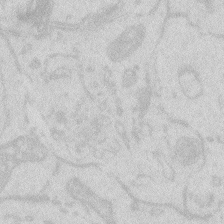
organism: Zebrafish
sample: Macrophage